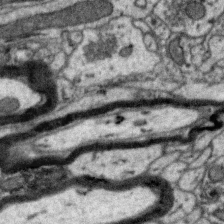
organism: Zebra finch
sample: Brain